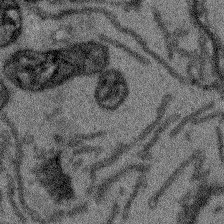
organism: Arabidopsis thaliana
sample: Root tip